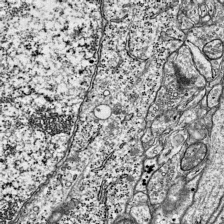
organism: Mouse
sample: Visual Cortex